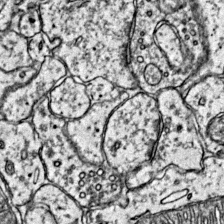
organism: Mouse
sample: Primary visual cortex